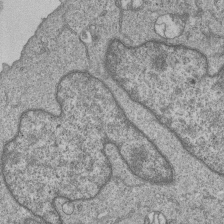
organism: Human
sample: MDA-MB-231 cells